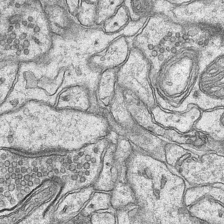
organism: Mouse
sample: CA1 Hippocampus